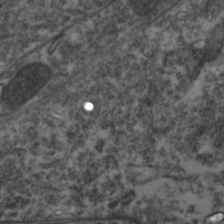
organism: Zebrafish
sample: Zebrafish embryo